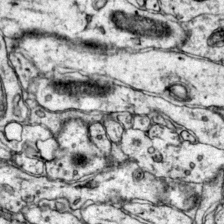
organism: Mouse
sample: Primary visual cortex